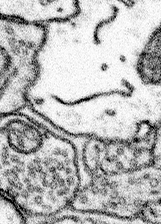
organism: Mouse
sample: Somatosensory cortex neuropil